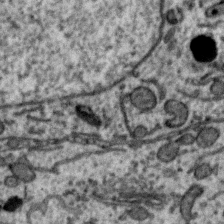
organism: Zebra finch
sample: Brain